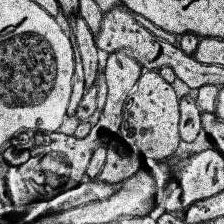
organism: Human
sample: Temporal Lobe